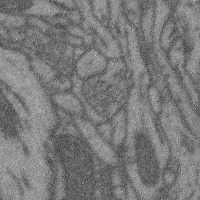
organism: Mouse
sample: Cerebral cortex